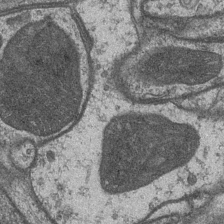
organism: Drosophila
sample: Optic medulla